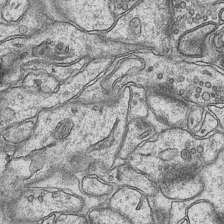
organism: Mouse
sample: CA1 Hippocampus